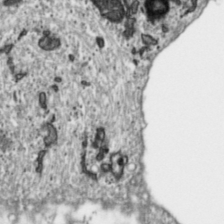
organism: Toxoplasma gondii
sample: Parasites in a vacuole inside a host cell